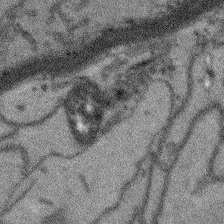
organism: Arabidopsis thaliana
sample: Root tip